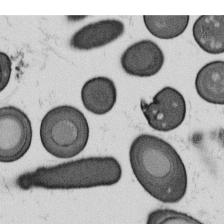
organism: B. subtilis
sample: Bacterial spore